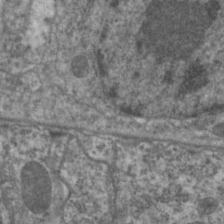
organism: C. elegans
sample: Pharynx